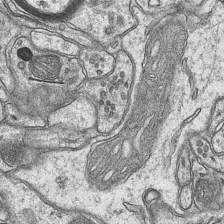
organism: Mouse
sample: CA1 Hippocampus